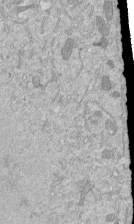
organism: Mouse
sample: ED-1 cell nuclei; centrioles